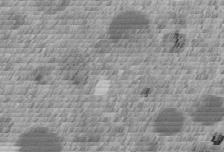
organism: C. elegans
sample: C. elegans embryo early stage